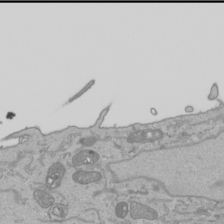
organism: Human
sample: Mitochondria in HCT116 cells